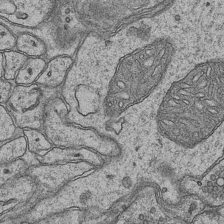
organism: Mouse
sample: CA1 Hippocampus